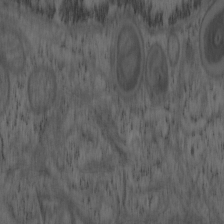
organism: Human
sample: HeLa cells